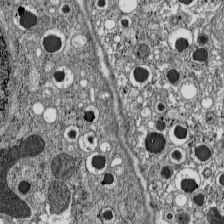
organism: C57BL Mouse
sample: Pancreatic islet